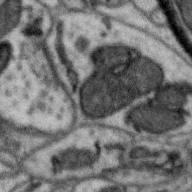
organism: Zebra finch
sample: Brain